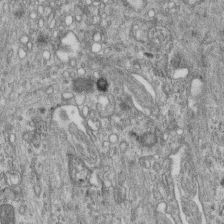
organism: Mouse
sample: Centriole in ependymal cells